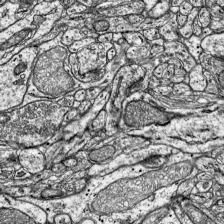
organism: Mouse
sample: Visual Cortex